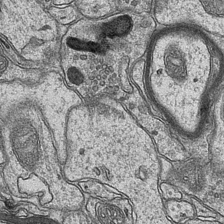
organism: Mouse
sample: CA1 Hippocampus